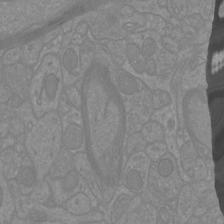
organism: Mouse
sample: Cortical neurons